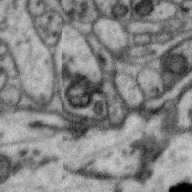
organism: Zebra finch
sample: Brain